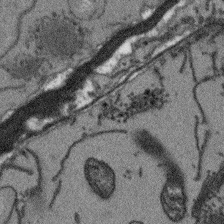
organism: Arabidopsis thaliana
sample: Root tip